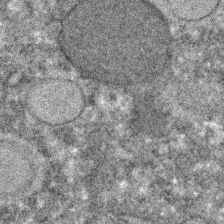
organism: C. elegans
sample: C. elegans embryo